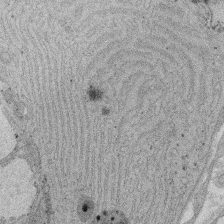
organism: Rat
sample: Salivary granule